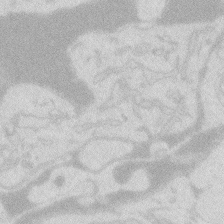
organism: Zebrafish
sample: Macrophage